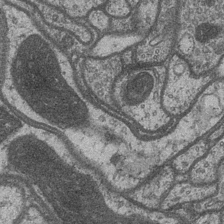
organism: Drosophila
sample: Optic medulla